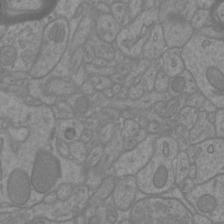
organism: Mouse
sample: Cortical neurons